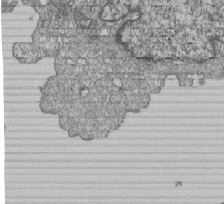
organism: Human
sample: MDA-MB-231 cells